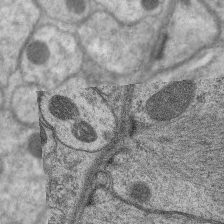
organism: C. elegans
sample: Pharynx